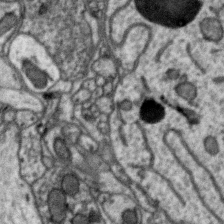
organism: Zebra finch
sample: Brain